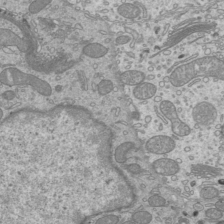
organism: Mouse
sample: Cilia; mouse epididymis